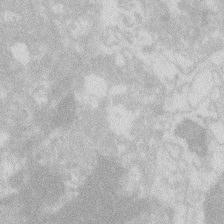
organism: Zebrafish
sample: Macrophage